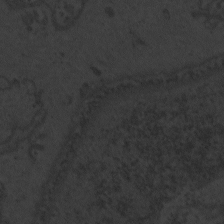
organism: Zebrafish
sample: Macrophage infected with Toxoplasma gondii